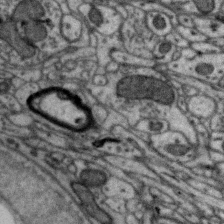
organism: Zebra finch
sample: Brain